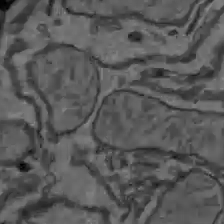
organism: C57BL Mouse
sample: Liver